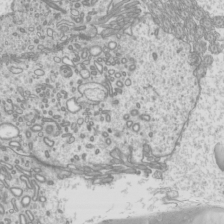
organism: Mouse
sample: Cilia; mouse epididymis